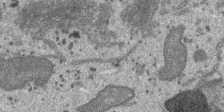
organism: Human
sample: Lung epithelial cells infected with SARS-CoV-2